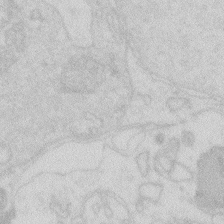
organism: Zebrafish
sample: Macrophage